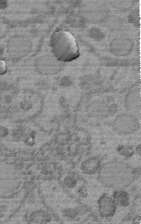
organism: C. elegans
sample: C. elegans embryo early stage